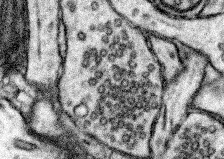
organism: Mouse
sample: Somatosensory cortex neuropil